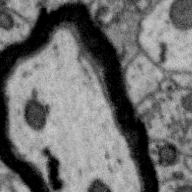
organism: Zebra finch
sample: Brain